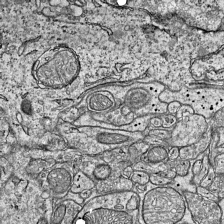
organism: Mouse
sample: Visual Cortex